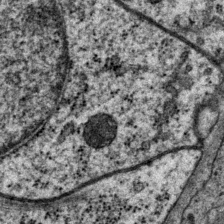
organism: P. pacificus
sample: Pharynx